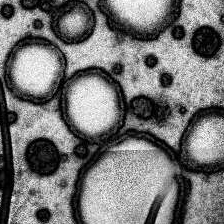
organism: Human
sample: Temporal Lobe